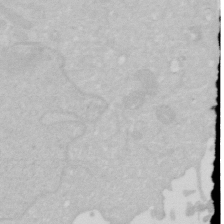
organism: Human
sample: HIV infected U937 cells